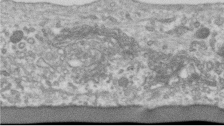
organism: Human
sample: Centriole in RPE cells